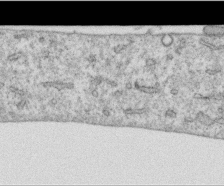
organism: Human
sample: Centriole in RPE cells